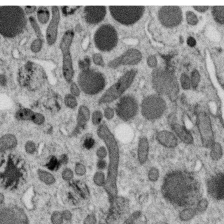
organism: C. elegans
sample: C. elegans oocyte; sperm cells